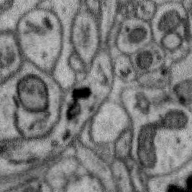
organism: Zebra finch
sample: Brain